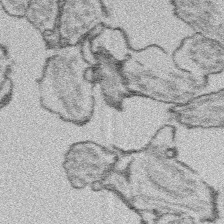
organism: Platynereis dumerilii